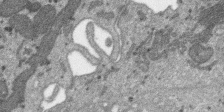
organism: Human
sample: Lung epithelial cells infected with SARS-CoV-2